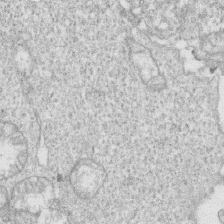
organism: Human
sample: HeLa cell HIV synapse